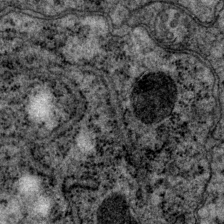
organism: P. pacificus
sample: Pharynx